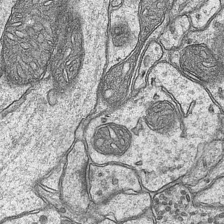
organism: Mouse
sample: CA1 Hippocampus